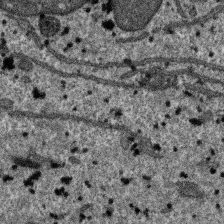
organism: Human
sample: Lung epithelial cells infected with SARS-CoV-2